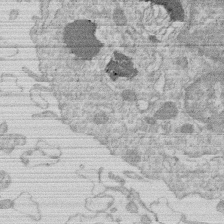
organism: Human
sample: Macrophage cells